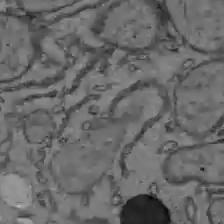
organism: C57BL Mouse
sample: Liver